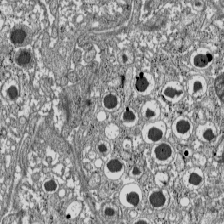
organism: C57BL Mouse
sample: Pancreatic islet